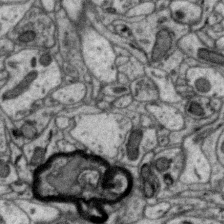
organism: Zebra finch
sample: Brain